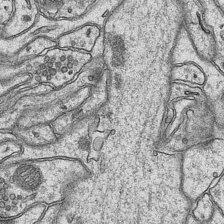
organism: Mouse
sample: CA1 Hippocampus